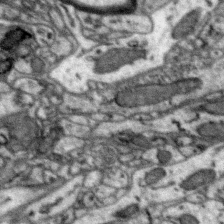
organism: Zebra finch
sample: Brain